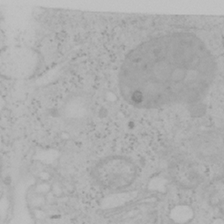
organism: Mouse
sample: OT-I killer T cells with ID8 ovarian cancer cells